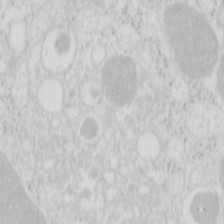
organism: Mouse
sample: Pancreas